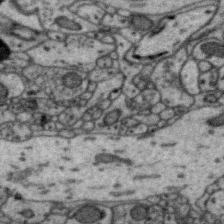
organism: Zebra finch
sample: Brain